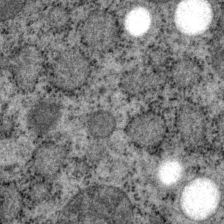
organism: P. pacificus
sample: Pharynx